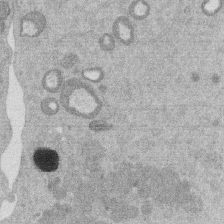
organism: Mouse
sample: Dividing mouse embryo 1 cell stage